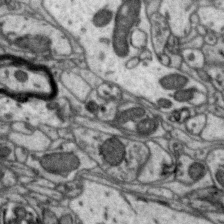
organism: Zebra finch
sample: Brain